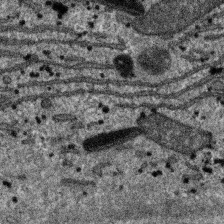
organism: Human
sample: Lung epithelial cells infected with SARS-CoV-2